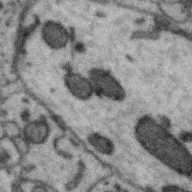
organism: Zebra finch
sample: Brain